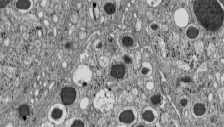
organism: C57BL Mouse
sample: Pancreatic islet